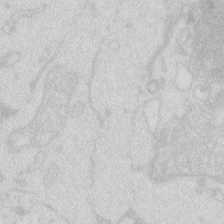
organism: Zebrafish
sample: Macrophage